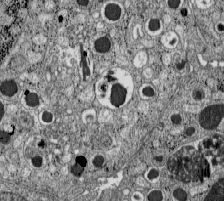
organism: C57BL Mouse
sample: Pancreatic islet